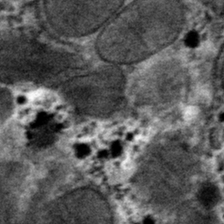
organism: Mouse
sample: Mouse hepatocytes